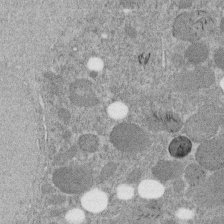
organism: C. elegans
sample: C. elegans embryo early stage